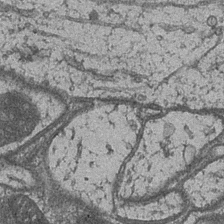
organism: Drosophila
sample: Optic medulla